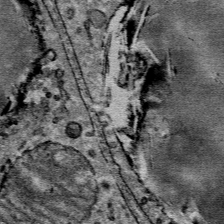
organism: Mouse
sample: Mouse Salivary gland